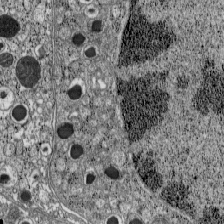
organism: C57BL Mouse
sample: Pancreatic islet